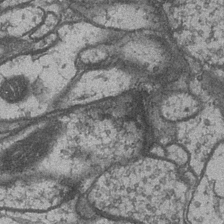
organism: Drosophila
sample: Optic medulla